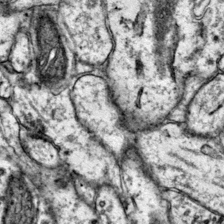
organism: Mouse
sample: Primary visual cortex